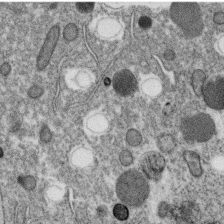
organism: C. elegans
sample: C. elegans oocyte; sperm cells